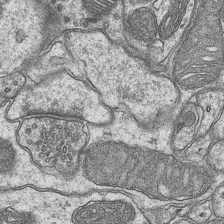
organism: Mouse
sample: CA1 Hippocampus